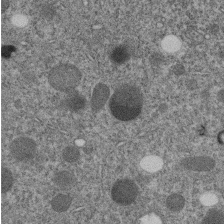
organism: C. elegans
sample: C. elegans embryo early stage